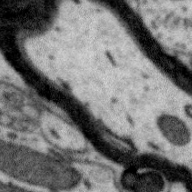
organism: Zebra finch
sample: Brain